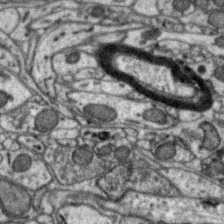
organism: Zebra finch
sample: Brain